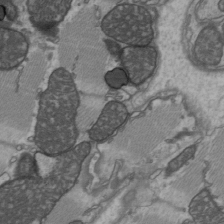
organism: C57BL Mouse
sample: Heart